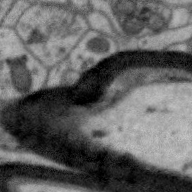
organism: Zebra finch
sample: Brain